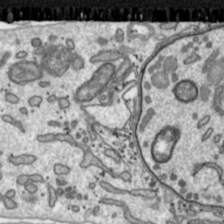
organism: Toxoplasma gondii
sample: Parasites in a vacuole inside a host cell